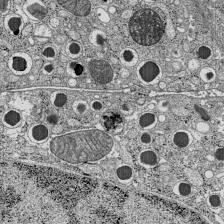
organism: C57BL Mouse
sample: Pancreatic islet